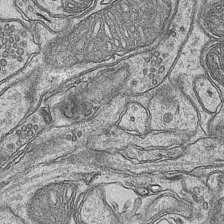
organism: Mouse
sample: CA1 Hippocampus